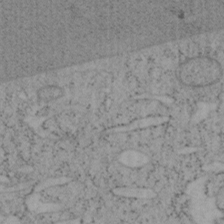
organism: Mouse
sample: OT-I killer T cells with ID8 ovarian cancer cells